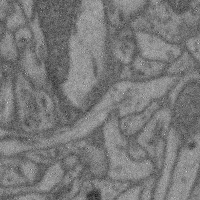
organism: Mouse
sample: Cerebral cortex